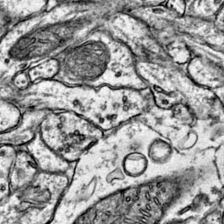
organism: Mouse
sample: Primary visual cortex